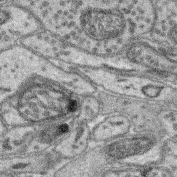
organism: Mouse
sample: Retina